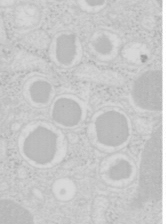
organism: Mouse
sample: Pancreas